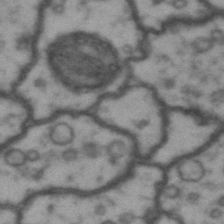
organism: Drosophila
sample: Brain